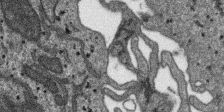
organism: Human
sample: Lung epithelial cells infected with SARS-CoV-2